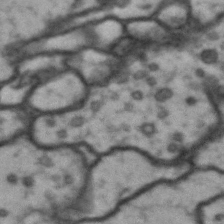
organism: Drosophila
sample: Brain